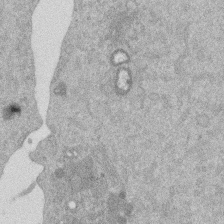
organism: Mouse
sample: Dividing mouse embryo 1 cell stage